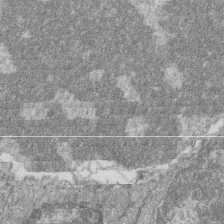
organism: Zebrafish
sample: Cilia; retinal pigment epithelium